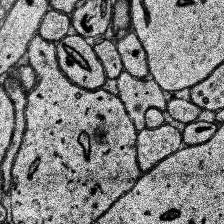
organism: Human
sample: Temporal Lobe